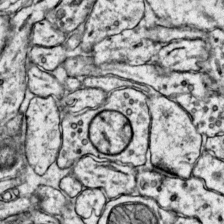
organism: Mouse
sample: Primary visual cortex